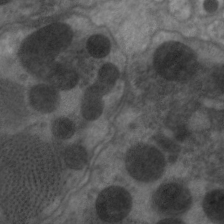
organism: C. elegans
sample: Pharynx